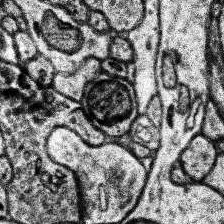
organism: Human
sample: Temporal Lobe